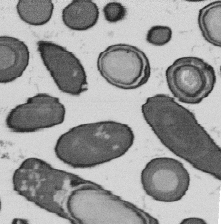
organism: B. subtilis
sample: Bacterial spore